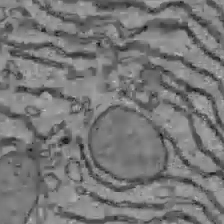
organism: C57BL Mouse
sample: Liver